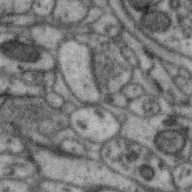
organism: Zebra finch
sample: Brain